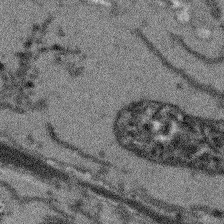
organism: Arabidopsis thaliana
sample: Root tip